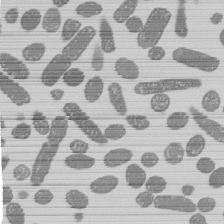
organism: E. coli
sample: Bacterial nucleoid